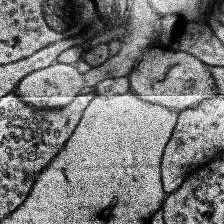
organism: Human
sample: Temporal Lobe